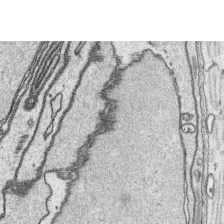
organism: Platynereis dumerilii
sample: Parapodia